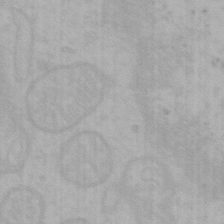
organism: Mouse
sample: Choroid plexus